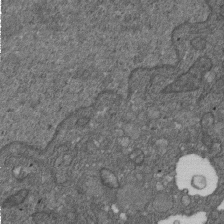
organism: Drosophila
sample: Nephrocyte